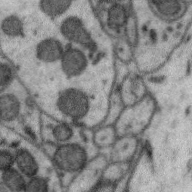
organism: Zebra finch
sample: Brain